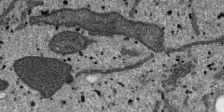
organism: Human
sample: Lung epithelial cells, uninfected (mock) control